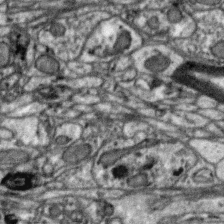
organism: Zebra finch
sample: Brain